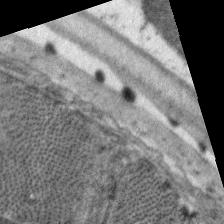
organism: C. elegans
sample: Pharynx